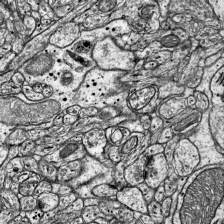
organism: Mouse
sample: Visual Cortex